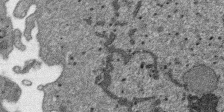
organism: Human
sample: Lung epithelial cells infected with SARS-CoV-2